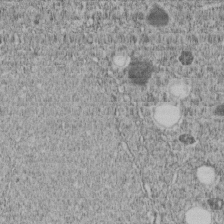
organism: C. elegans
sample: C. elegans embryo early stage